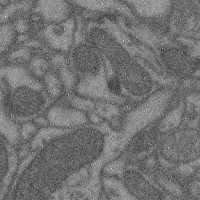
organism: Mouse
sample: Cerebral cortex